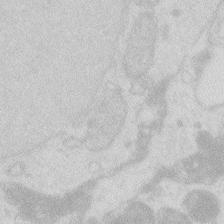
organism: Zebrafish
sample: Macrophage